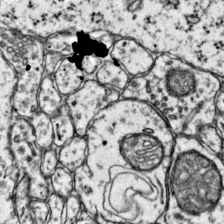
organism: Mouse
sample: Primary visual cortex